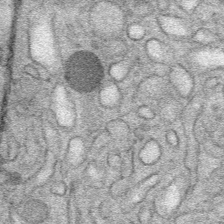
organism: Mouse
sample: Mouse Salivary gland